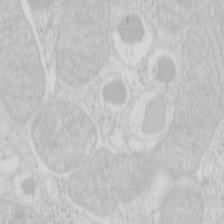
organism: Mouse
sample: Pancreas